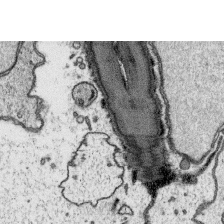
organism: Platynereis dumerilii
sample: Parapodia